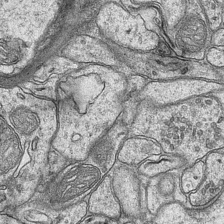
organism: Mouse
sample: CA1 Hippocampus